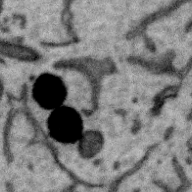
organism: Zebra finch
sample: Brain